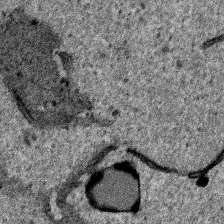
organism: Human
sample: Mitochondria in HCT116 cells